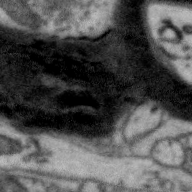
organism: Zebra finch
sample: Brain